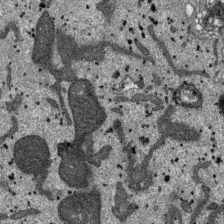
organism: Human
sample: Lung epithelial cells, uninfected (mock) control